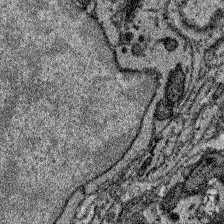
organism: Zebrafish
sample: Larval olfactory bulb